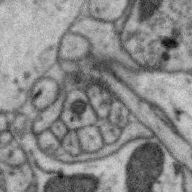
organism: Zebra finch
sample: Brain